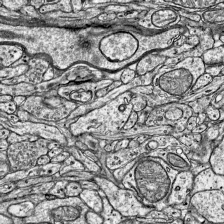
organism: Mouse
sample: Visual Cortex